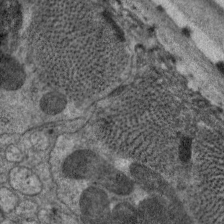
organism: C. elegans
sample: Pharynx